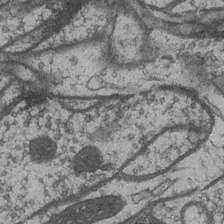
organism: Drosophila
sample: Optic medulla